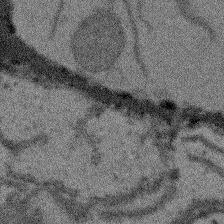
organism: Arabidopsis thaliana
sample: Root tip